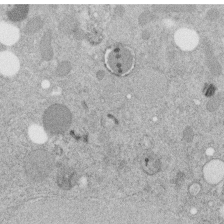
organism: C. elegans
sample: C. elegans embryo early stage